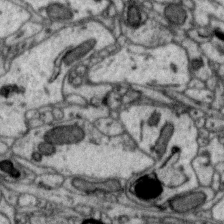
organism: Zebra finch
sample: Brain